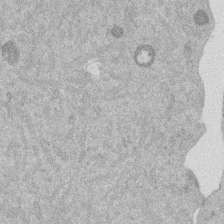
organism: Mouse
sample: Dividing mouse embryo 1 cell stage